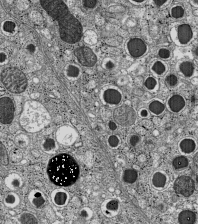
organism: C57BL Mouse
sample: Pancreatic islet